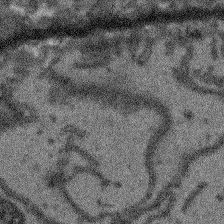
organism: Arabidopsis thaliana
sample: Root tip